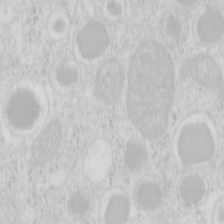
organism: Mouse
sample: Pancreas